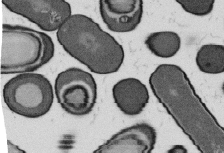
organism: B. subtilis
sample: Bacterial spore